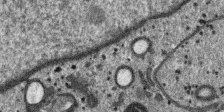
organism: Human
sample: Lung epithelial cells infected with SARS-CoV-2